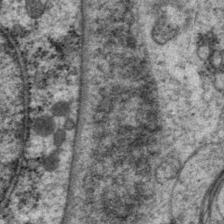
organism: P. pacificus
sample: Pharynx